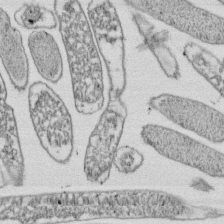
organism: E. coli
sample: Bacterial nucleoid